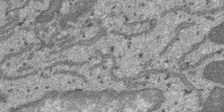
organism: Human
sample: Lung epithelial cells infected with SARS-CoV-2